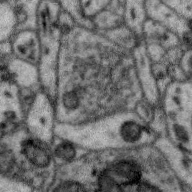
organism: Zebra finch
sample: Brain